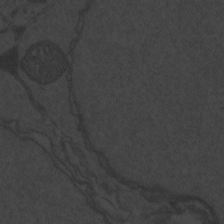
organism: Zebrafish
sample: Macrophage infected with Toxoplasma gondii